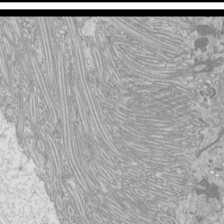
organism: Mouse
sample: Cilia; mouse epididymis